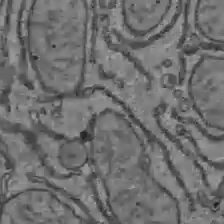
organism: C57BL Mouse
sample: Liver